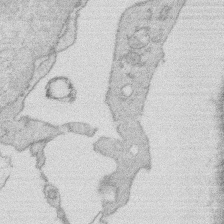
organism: Rat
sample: Salivary granule